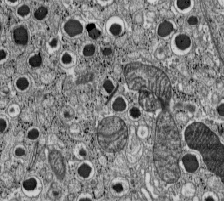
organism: C57BL Mouse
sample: Pancreatic islet